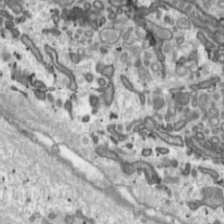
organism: Toxoplasma gondii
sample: Parasites in a vacuole inside a host cell